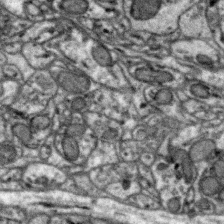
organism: Zebra finch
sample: Brain